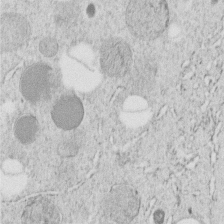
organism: C. elegans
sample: C. elegans embryo early stage